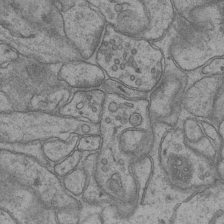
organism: Mouse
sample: CA1 Hippocampus